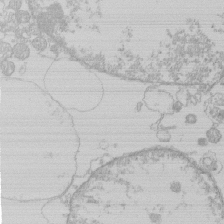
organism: Human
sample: Macrophage cells